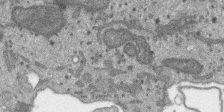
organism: Human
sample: Lung epithelial cells infected with SARS-CoV-2